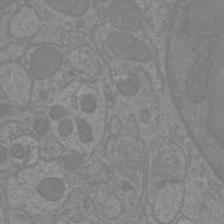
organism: Mouse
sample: Cortical neurons